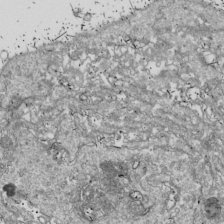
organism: Drosophila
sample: Cell division; meiosis; drosophila spermatocytes